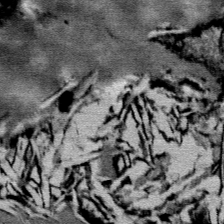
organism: Mouse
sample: Mouse Salivary gland